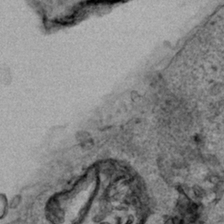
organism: Human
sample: Mitochondria in HCT116 cells